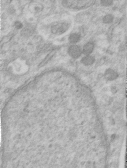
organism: Human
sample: Centriole in RPE cells